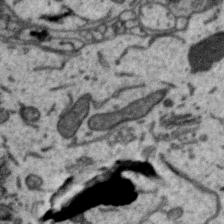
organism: Zebra finch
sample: Brain